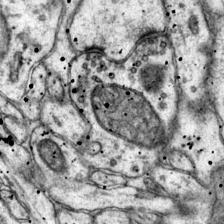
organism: Mouse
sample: Primary visual cortex